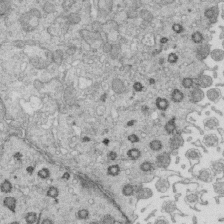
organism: Mouse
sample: Multiciliated cells